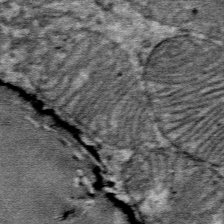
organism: Mouse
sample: Mouse Salivary gland